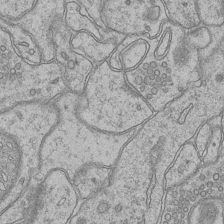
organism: Mouse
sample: CA1 Hippocampus